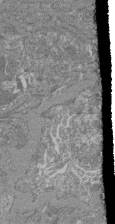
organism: Mouse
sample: Glomerulus